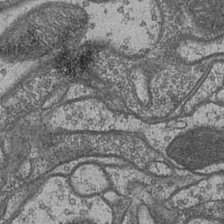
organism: Drosophila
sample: Optic medulla